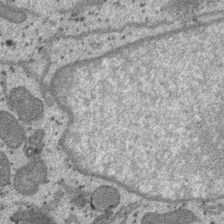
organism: Human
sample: Lung epithelial cells infected with SARS-CoV-2